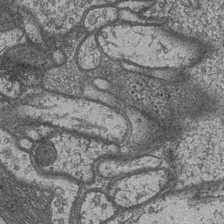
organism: Drosophila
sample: Optic medulla